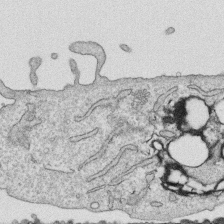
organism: Human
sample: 1205lu cells